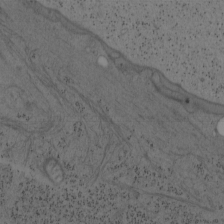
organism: Mouse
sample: OT-I killer T cells with ID8 ovarian cancer cells